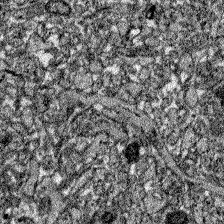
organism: Zebrafish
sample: Larval olfactory bulb